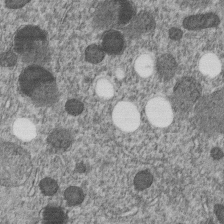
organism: C. elegans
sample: C. elegans embryo early stage